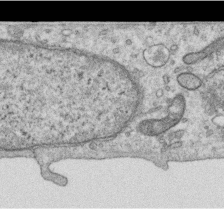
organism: Human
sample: Centriole in RPE cells